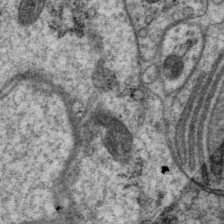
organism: P. pacificus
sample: Pharynx